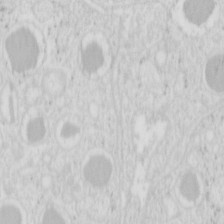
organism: Mouse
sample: Pancreas